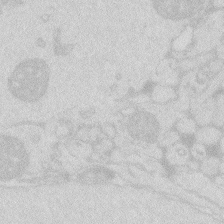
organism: Zebrafish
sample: Macrophage